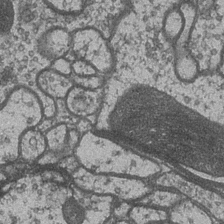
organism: Drosophila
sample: Optic medulla